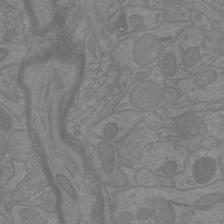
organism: Mouse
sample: Cortical neurons